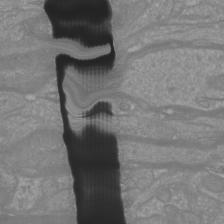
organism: Mouse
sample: Cortical neurons